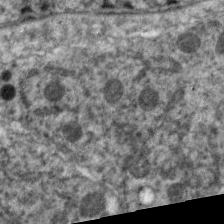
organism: C. elegans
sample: Pharynx